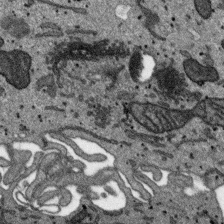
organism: Human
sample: Lung epithelial cells, uninfected (mock) control